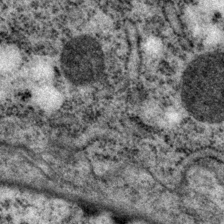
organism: P. pacificus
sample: Pharynx